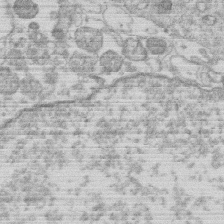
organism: Human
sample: Macrophage cells